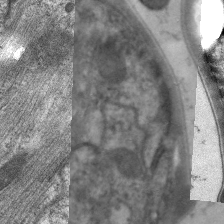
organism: C. elegans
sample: Pharynx